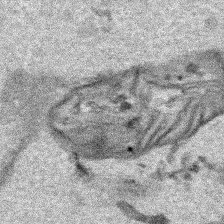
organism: Human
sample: Mitochondria in HCT116 cells